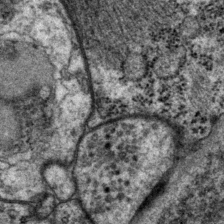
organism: P. pacificus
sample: Pharynx